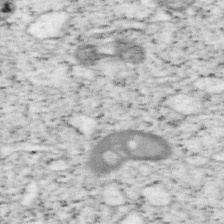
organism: Mouse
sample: OT-I killer T cells with ID8 ovarian cancer cells